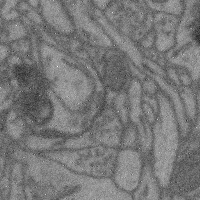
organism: Mouse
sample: Cerebral cortex